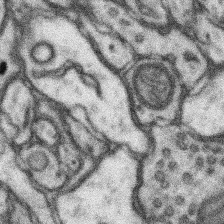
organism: Mouse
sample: Somatosensory cortex neuropil